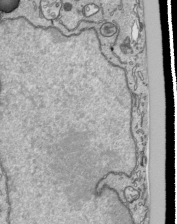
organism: Human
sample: Mitochondria in HCT116 cells